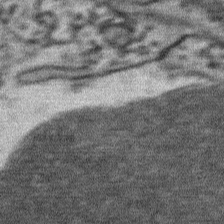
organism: Mouse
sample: Mouse Salivary gland